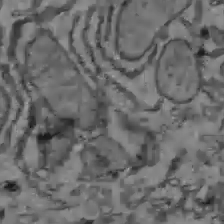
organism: C57BL Mouse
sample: Liver